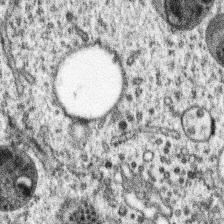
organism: Human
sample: HeLa cells